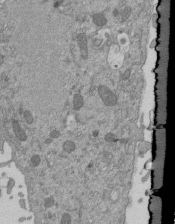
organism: Mouse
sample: ED-1 cell nuclei; centrioles